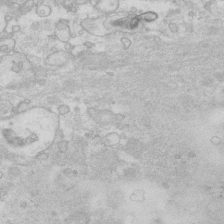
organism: Human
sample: Fibroblast cells